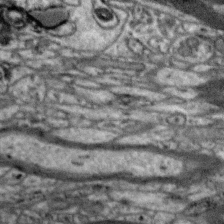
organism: Zebra finch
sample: Brain